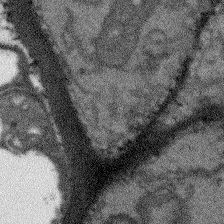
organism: Arabidopsis thaliana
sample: Root tip